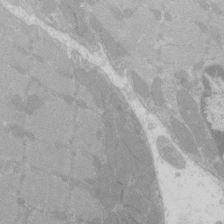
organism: C57BL Mouse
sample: Tibialis anterior muscle cell